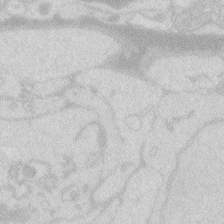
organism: Zebrafish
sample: Macrophage